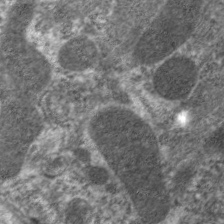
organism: C. elegans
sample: Pharynx